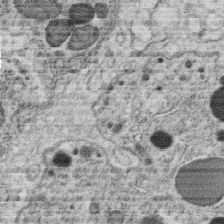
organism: C. elegans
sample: C. elegans oocyte; sperm cells